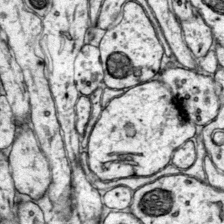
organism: Mouse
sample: Primary visual cortex